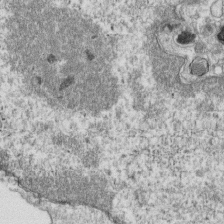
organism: Mouse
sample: Activated OT-1 CD8+ T cells